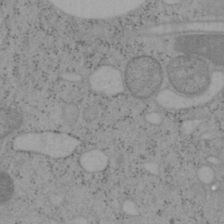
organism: Mouse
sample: OT-I killer T cells with ID8 ovarian cancer cells